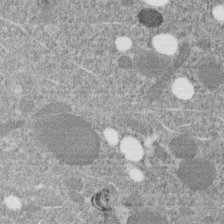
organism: C. elegans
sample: C. elegans embryo early stage